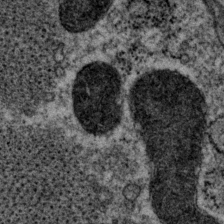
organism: P. pacificus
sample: Pharynx